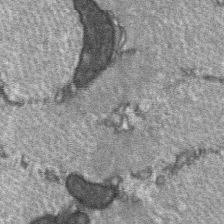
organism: C57BL Mouse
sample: Soleus